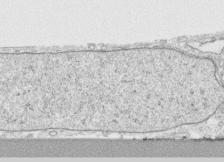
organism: Human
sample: CRL-1474